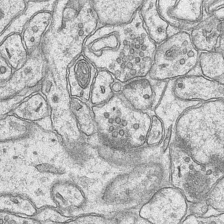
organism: Mouse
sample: CA1 Hippocampus